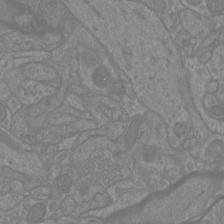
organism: Mouse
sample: Cortical neurons